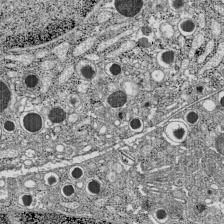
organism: C57BL Mouse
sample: Pancreatic islet